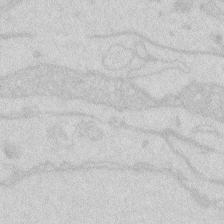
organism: Zebrafish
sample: Macrophage